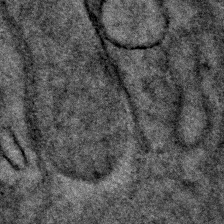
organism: Human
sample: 1205lu cells